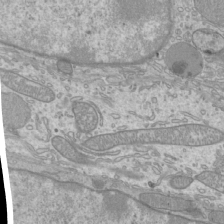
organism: Mouse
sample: Cilia; mouse epididymis